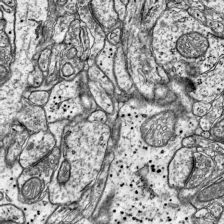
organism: Mouse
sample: Visual Cortex